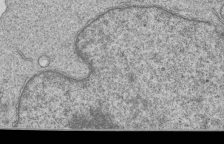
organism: Human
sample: MDA-MB-231 cells